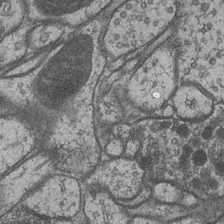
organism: Drosophila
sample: Optic medulla